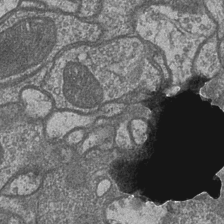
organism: Drosophila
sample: Optic medulla